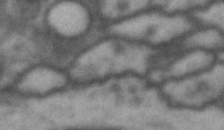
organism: Drosophila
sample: Brain